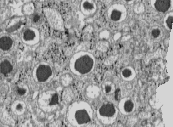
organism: C57BL Mouse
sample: Pancreatic islet